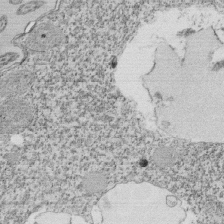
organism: Tetrahymena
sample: Cilia in tetrahymena